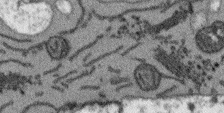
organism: Arabidopsis thaliana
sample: Root tip